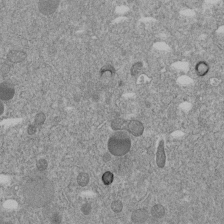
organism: C. elegans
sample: C. elegans embryo early stage